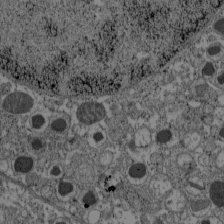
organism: C57BL Mouse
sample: Pancreatic islet